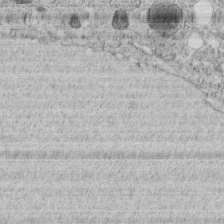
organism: C. elegans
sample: C. elegans embryo early stage